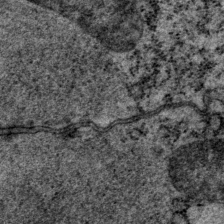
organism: P. pacificus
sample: Pharynx